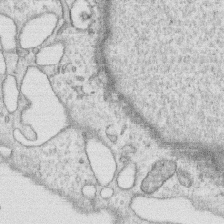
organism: Human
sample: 1205lu cells